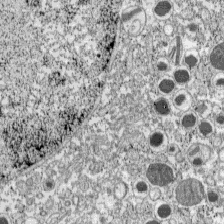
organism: C57BL Mouse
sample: Pancreatic islet